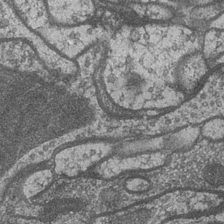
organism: Drosophila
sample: Optic medulla